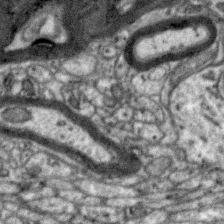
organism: Zebra finch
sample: Brain